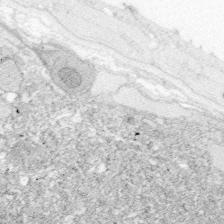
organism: Zebrafish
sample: Whole-Brain